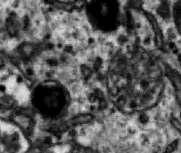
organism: Human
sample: HeLa cells